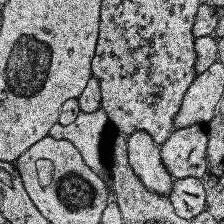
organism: Human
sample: Temporal Lobe